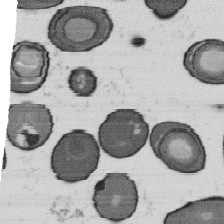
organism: B. subtilis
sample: Bacterial spore